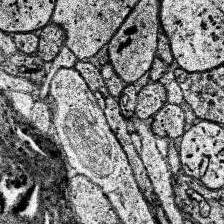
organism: Human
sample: Temporal Lobe